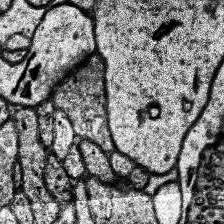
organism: Human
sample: Temporal Lobe